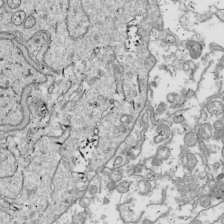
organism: Drosophila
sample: Cell division; meiosis; drosophila spermatocytes